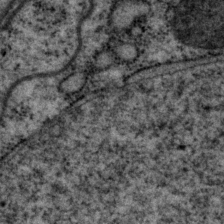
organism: P. pacificus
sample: Pharynx